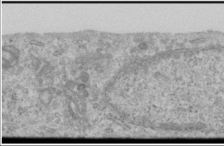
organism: Human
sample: Cilia; basal body in RPE cells